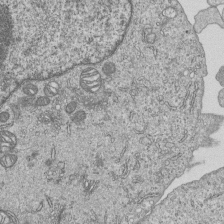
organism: Human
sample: MDA-MB-231 cells